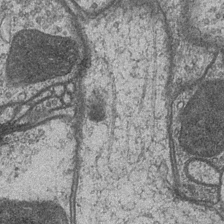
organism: Drosophila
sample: Optic medulla